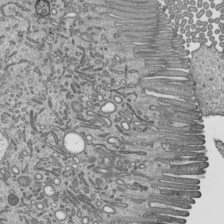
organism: Mouse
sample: Mouse epididymis efferent ductule cilia